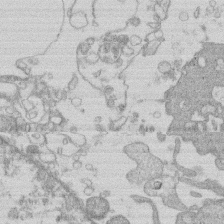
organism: Human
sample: Macrophage cells